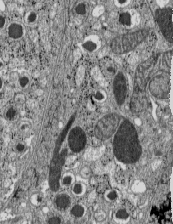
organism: C57BL Mouse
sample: Pancreatic islet